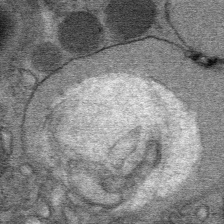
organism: Mouse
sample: Mouse Salivary gland